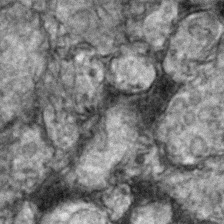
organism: Zebrafish